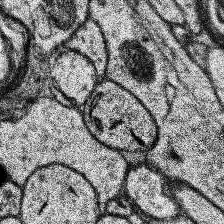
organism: Human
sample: Temporal Lobe